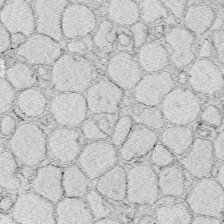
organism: Zebrafish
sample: Whole-Brain